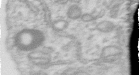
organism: Human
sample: Centriole in RPE cells